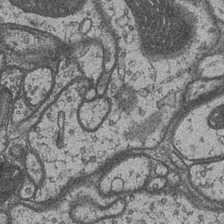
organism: Drosophila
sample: Optic medulla